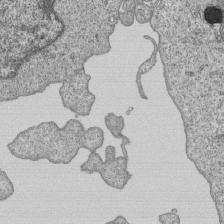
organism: Human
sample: MDA-MB-231 cells